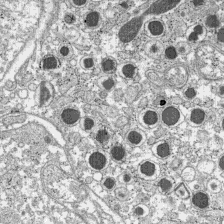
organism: C57BL Mouse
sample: Pancreatic islet